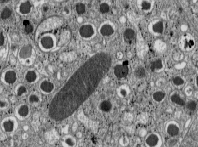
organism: C57BL Mouse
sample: Pancreatic islet